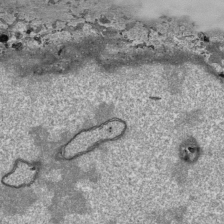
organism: Human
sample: Mitochondria in HCT116 cells